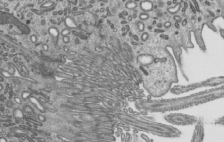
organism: Mouse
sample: Mouse epididymis efferent ductule cilia